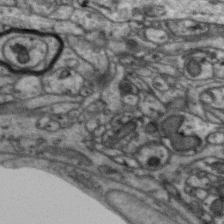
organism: Zebra finch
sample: Brain